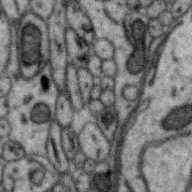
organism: Zebra finch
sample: Brain